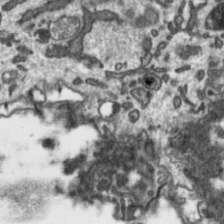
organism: Toxoplasma gondii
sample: Parasites in a vacuole inside a host cell